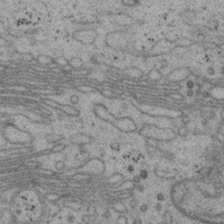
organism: Human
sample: HeLa cells